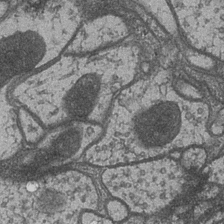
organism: Drosophila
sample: Optic medulla